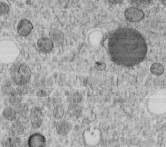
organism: C. elegans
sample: C. elegans embryo early stage